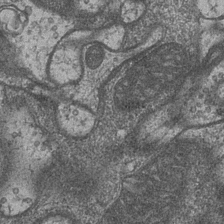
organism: Drosophila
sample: Optic medulla